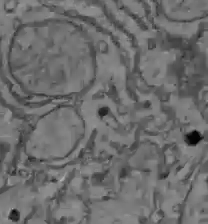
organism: C57BL Mouse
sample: Liver